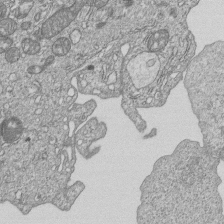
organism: Human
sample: MDA-MB-231 cells